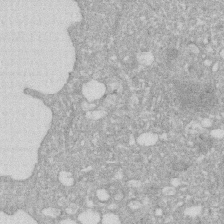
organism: Human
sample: HIV infected U937 cells